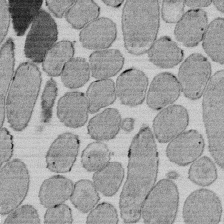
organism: E. coli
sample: Bacterial nucleoid